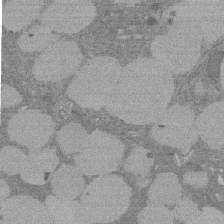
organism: Rat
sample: Salivary granule